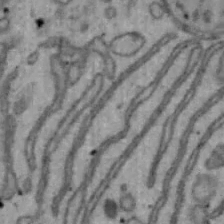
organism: Mouse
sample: Liver